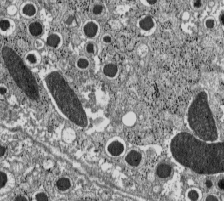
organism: C57BL Mouse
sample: Pancreatic islet